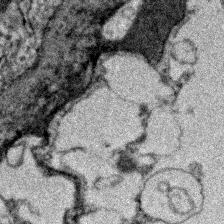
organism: Zebrafish